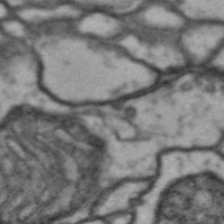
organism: Drosophila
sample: Brain